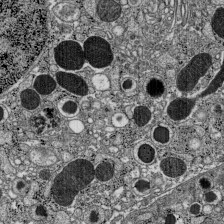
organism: C57BL Mouse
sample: Pancreatic islet